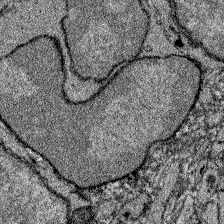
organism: Zebrafish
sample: Larval olfactory bulb